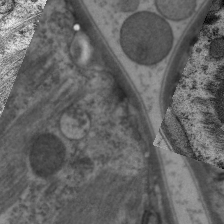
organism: C. elegans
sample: Pharynx